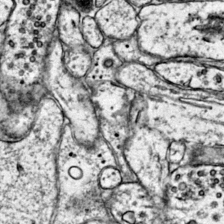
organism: Mouse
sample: Primary visual cortex